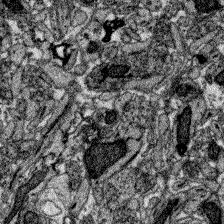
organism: Zebrafish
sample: Larval olfactory bulb